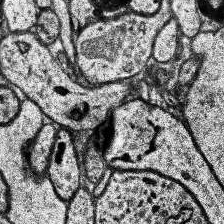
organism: Human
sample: Temporal Lobe